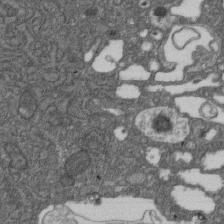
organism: Drosophila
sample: Nephrocyte